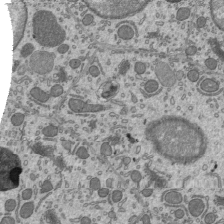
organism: Mouse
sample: Mouse epididymis efferent ductule cilia